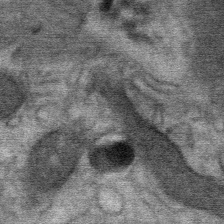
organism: Mouse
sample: Mouse Salivary gland